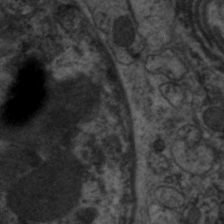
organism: C. elegans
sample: Pharynx